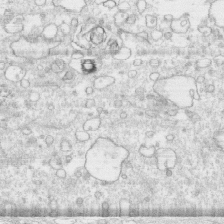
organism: Human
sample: CRL-1474